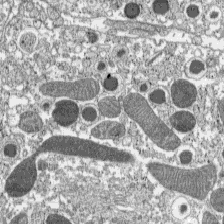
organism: C57BL Mouse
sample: Pancreatic islet